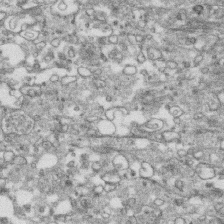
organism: Human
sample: CRL-1474